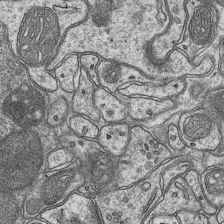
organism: Mouse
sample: CA1 Hippocampus